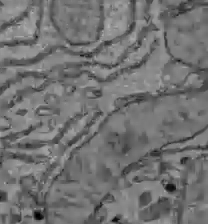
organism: C57BL Mouse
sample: Liver